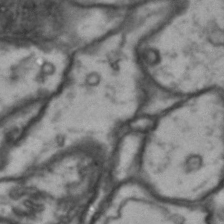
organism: Drosophila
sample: Brain